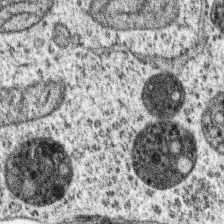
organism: Human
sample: HeLa cells